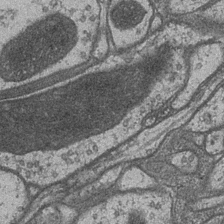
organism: Drosophila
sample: Optic medulla